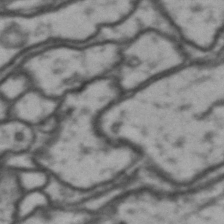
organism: Drosophila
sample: Brain